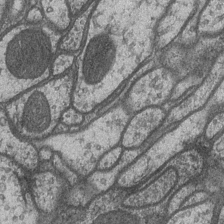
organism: Drosophila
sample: Optic medulla